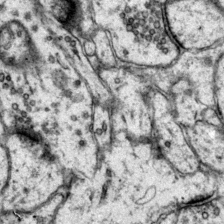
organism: Mouse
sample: Primary visual cortex